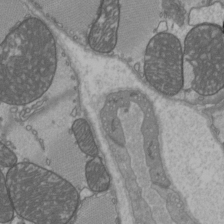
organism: C57BL Mouse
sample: Heart